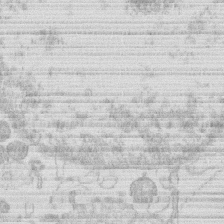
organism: Human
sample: Macrophage cells